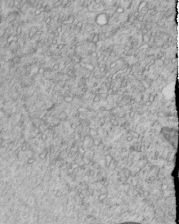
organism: C. elegans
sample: C. elegans embryo early stage